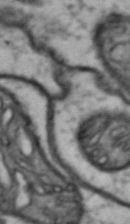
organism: Drosophila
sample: Brain